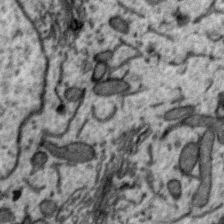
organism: Zebra finch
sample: Brain